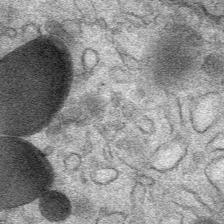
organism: Mouse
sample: Mouse Salivary gland